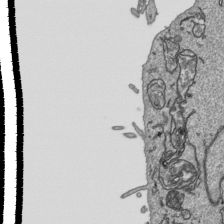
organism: Human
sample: Mitochondria in HCT116 cells